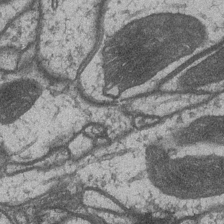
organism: Drosophila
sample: Optic medulla